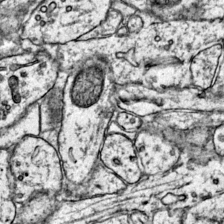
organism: Mouse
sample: Primary visual cortex